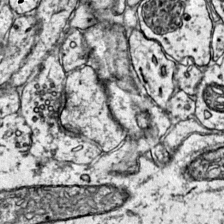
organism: Mouse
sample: Primary visual cortex